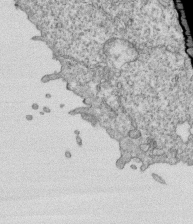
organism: Human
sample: HeLa cell HIV synapse